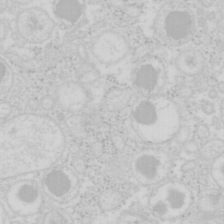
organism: Mouse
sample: Pancreas